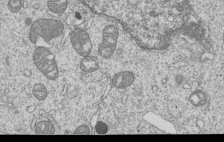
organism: Human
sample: MDA-MB-231 cells